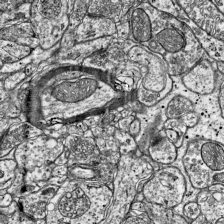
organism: Mouse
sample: Visual Cortex